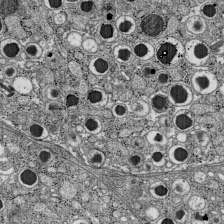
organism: C57BL Mouse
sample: Pancreatic islet